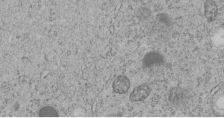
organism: C. elegans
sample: C. elegans embryo early stage